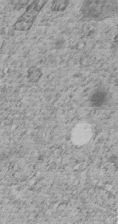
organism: C. elegans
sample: C. elegans embryo early stage